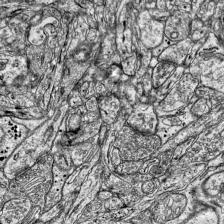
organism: Mouse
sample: Visual Cortex